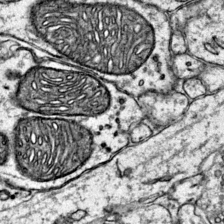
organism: Mouse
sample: Primary visual cortex